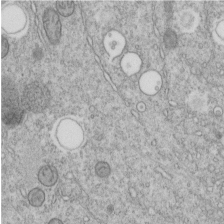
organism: C. elegans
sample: C. elegans embryo early stage